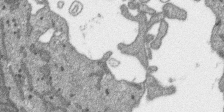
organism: Human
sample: Lung epithelial cells infected with SARS-CoV-2